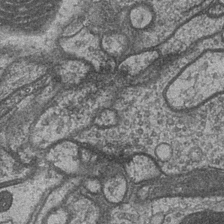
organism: Drosophila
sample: Optic medulla